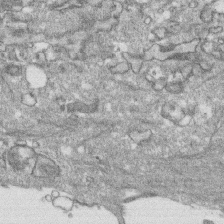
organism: Human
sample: CRL-1474